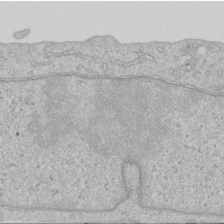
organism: Human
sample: Centriole in RPE cells